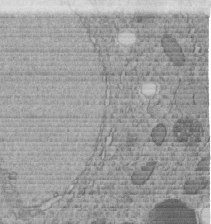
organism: C. elegans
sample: C. elegans embryo early stage